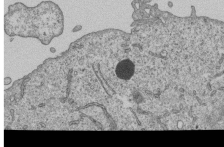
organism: Human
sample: MDA-MB-231 cells